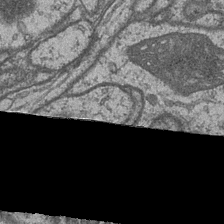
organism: Drosophila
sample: Optic medulla